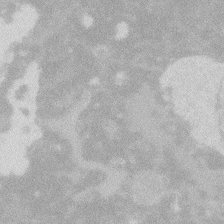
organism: Zebrafish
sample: Macrophage